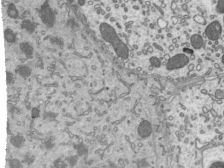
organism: Mouse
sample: Mouse epididymis efferent ductule cilia